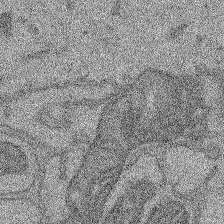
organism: Human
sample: HeLa cells